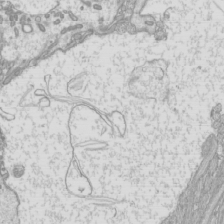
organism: Mouse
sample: Cilia; mouse epididymis